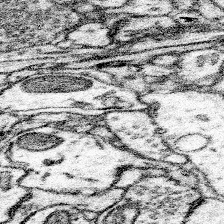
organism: Mouse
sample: Somatosensory cortex neuropil